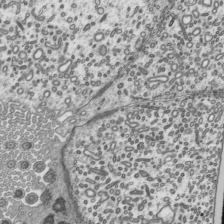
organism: Mouse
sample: Mouse epididymis efferent ductule cilia